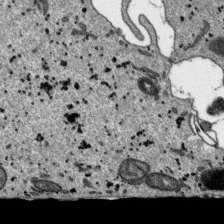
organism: Human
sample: Lung epithelial cells, uninfected (mock) control